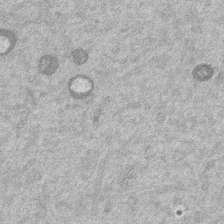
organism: Mouse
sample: Dividing mouse embryo 1 cell stage